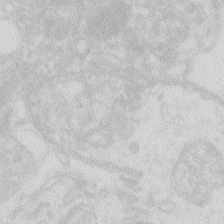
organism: Zebrafish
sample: Macrophage